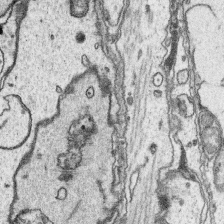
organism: Platynereis dumerilii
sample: Parapodia